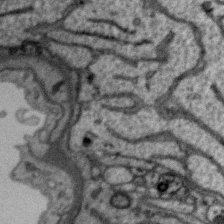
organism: Zebra finch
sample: Brain